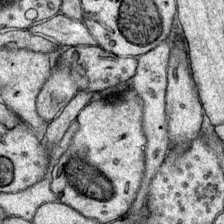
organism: Mouse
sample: Primary visual cortex